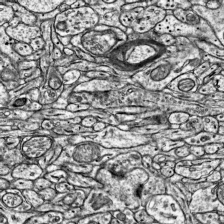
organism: Mouse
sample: Visual Cortex